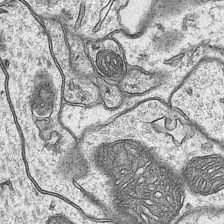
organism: Mouse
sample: CA1 Hippocampus